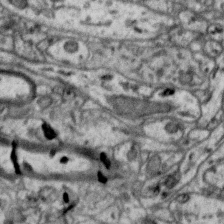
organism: Zebra finch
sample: Brain